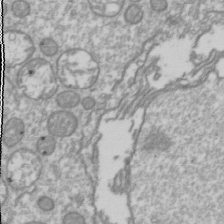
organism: Drosophila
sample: Cell division; meiosis; drosophila spermatocytes